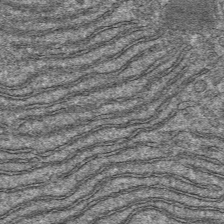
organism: Mouse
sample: Mouse hepatocytes